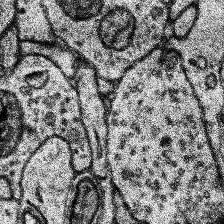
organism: Human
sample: Temporal Lobe